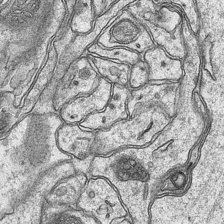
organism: Mouse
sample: CA1 Hippocampus